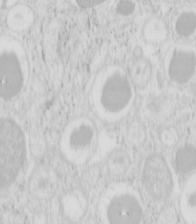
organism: Mouse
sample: Pancreas